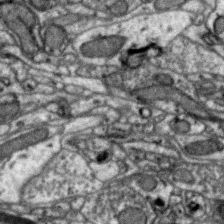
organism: Zebra finch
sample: Brain